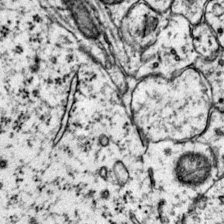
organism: Mouse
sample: Primary visual cortex